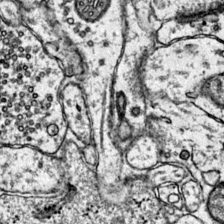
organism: Mouse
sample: Primary visual cortex